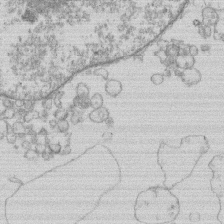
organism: Human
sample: Macrophage cells